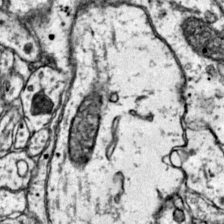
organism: Mouse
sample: Primary visual cortex